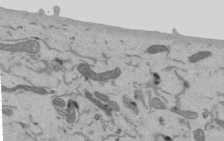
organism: Mouse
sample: ED-1 cell nuclei; centrioles